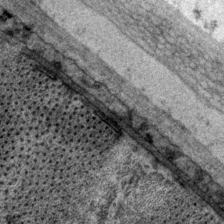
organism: P. pacificus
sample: Pharynx